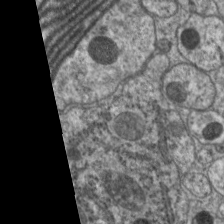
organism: C. elegans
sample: Pharynx